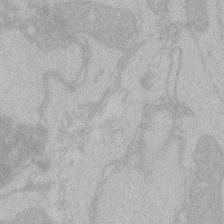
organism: Zebrafish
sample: Macrophage infected with Toxoplasma gondii